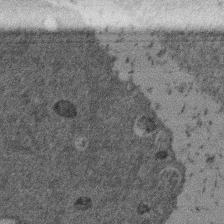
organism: Mouse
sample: Dividing mouse embryo 1 cell stage